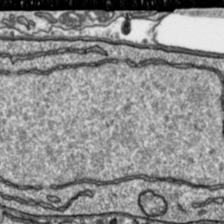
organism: Toxoplasma gondii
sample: Parasites in a vacuole inside a host cell